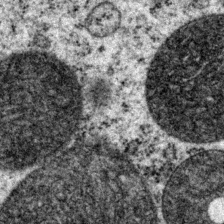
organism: P. pacificus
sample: Pharynx